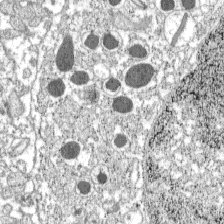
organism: C57BL Mouse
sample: Pancreatic islet